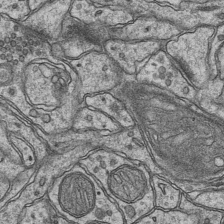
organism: Mouse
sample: CA1 Hippocampus